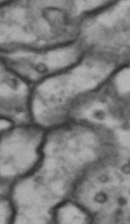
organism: Drosophila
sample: Brain